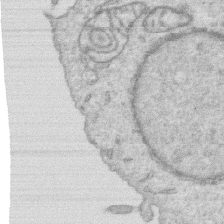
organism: Human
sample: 1205lu cells